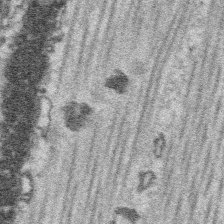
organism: Platynereis dumerilii